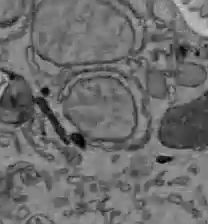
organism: C57BL Mouse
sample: Liver